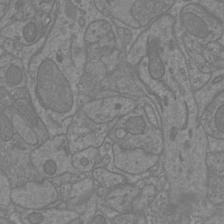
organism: Mouse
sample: Cortical neurons